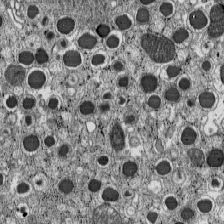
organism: C57BL Mouse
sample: Pancreatic islet